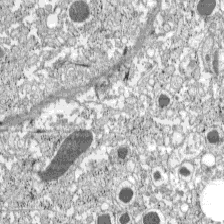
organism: C57BL Mouse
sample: Pancreatic islet